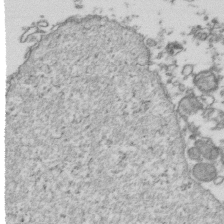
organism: Human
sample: Activated Jurkat CD4+ T cells